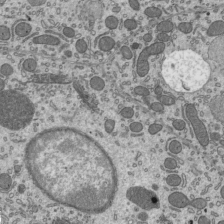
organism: Mouse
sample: Mouse epididymis efferent ductule cilia